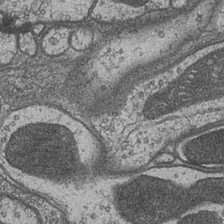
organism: Drosophila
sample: Optic medulla